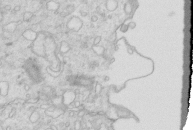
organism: Mouse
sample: Multiciliated cells